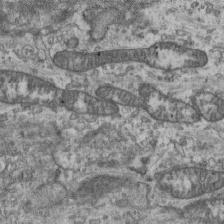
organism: Mouse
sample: Centriole in ependymal cells